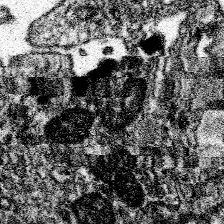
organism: Spongilla lacustris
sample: Neuroid cell